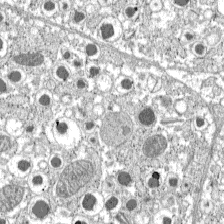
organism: C57BL Mouse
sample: Pancreatic islet